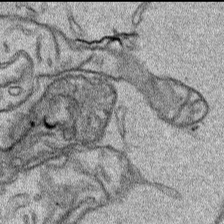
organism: Human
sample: Mitochondria in HCT116 cells